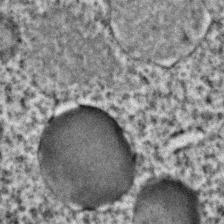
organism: C. elegans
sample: C. elegans embryo